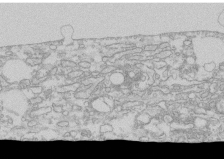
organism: Human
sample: CRL-1474